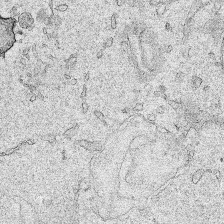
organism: Human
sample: Mitochondria in HCT116 cells